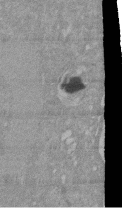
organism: Mouse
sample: ED-1 cell nuclei; centrioles